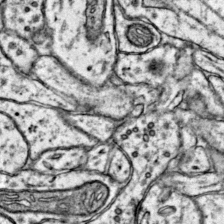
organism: Mouse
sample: Primary visual cortex